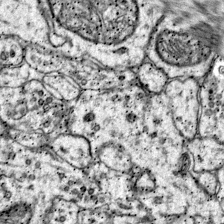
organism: Mouse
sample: Primary visual cortex